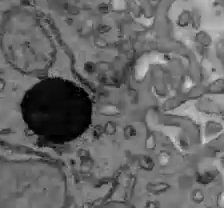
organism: C57BL Mouse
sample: Liver